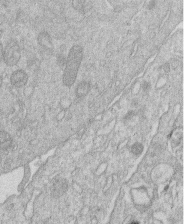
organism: Human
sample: Macrophage cells